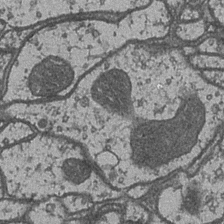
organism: Drosophila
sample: Optic medulla